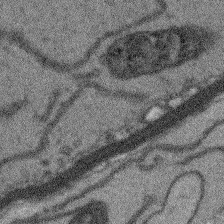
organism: Arabidopsis thaliana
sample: Root tip